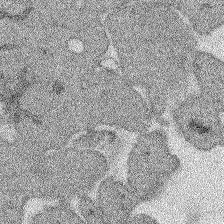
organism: Human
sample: HeLa cells